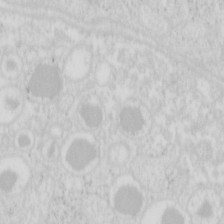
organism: Mouse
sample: Pancreas